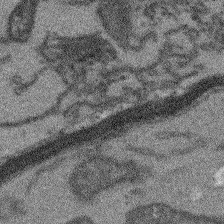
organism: Arabidopsis thaliana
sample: Root tip